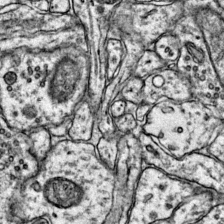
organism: Mouse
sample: Primary visual cortex